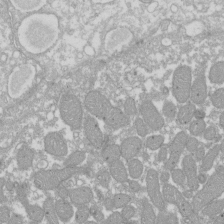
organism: Xenopus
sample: Cilia; centrioles in frog embryo cells